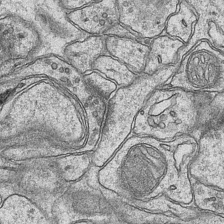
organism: Mouse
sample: CA1 Hippocampus